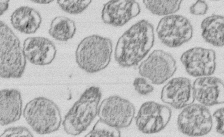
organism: E. coli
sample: Bacterial nucleoid